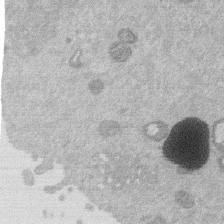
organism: Mouse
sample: Dividing mouse embryo 1 cell stage